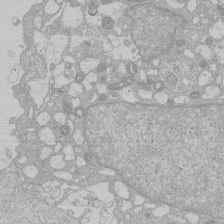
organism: Human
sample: Macrophage cells